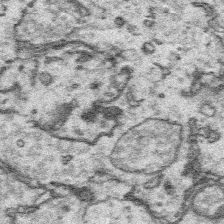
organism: Platynereis dumerilii